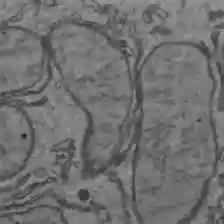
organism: C57BL Mouse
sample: Liver